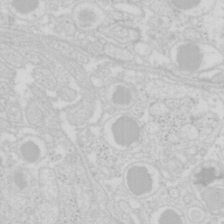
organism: Mouse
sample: Pancreas